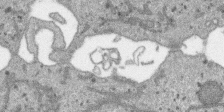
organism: Human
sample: Lung epithelial cells infected with SARS-CoV-2